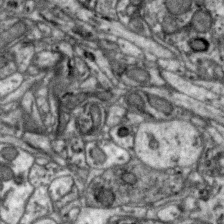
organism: Zebra finch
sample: Brain